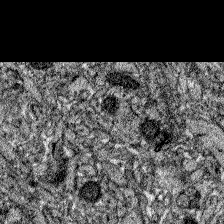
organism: Zebrafish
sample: Larval olfactory bulb